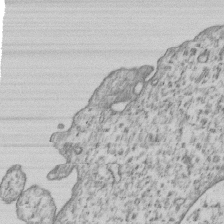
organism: Human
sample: MDA-MB-231 cells